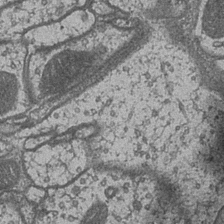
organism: Drosophila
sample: Optic medulla